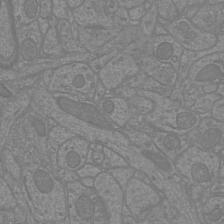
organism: Mouse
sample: Cortical neurons